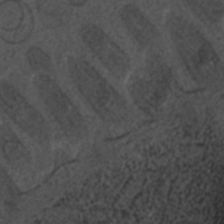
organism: C. elegans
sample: C. elegans embryo